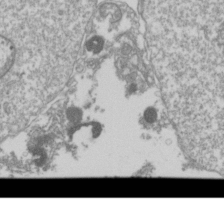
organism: Drosophila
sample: Cell division; meiosis; drosophila spermatocytes